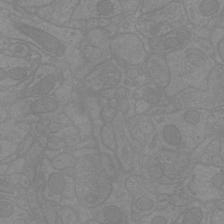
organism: Mouse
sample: Cortical neurons